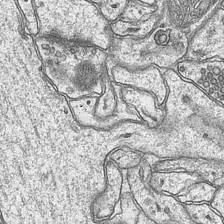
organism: Mouse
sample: CA1 Hippocampus